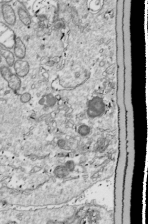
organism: Drosophila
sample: Cell division; meiosis; drosophila spermatocytes